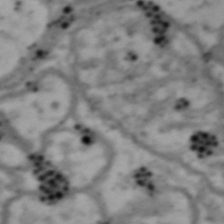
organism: Drosophila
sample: Brain